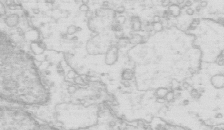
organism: Mouse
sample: Multiciliated cells